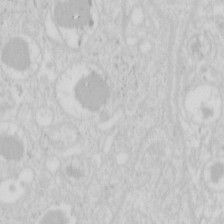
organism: Mouse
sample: Pancreas